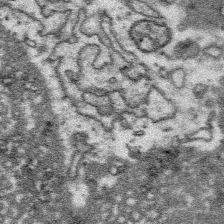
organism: Platynereis dumerilii